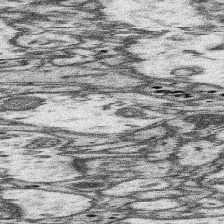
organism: Mouse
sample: Somatosensory cortex neuropil